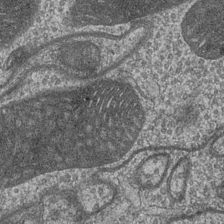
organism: Drosophila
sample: Optic medulla